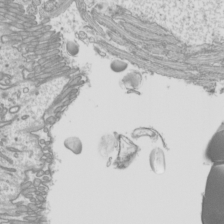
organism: Mouse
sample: Cilia; mouse epididymis